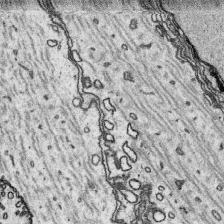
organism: Platynereis dumerilii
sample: Parapodia